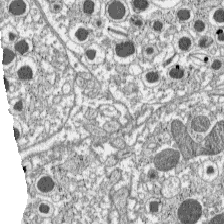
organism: C57BL Mouse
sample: Pancreatic islet